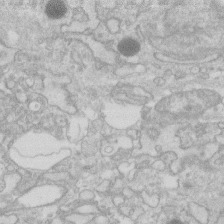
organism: Human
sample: Fibroblast cells